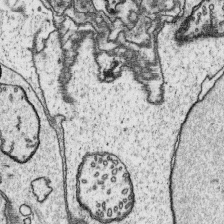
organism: Platynereis dumerilii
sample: Parapodia